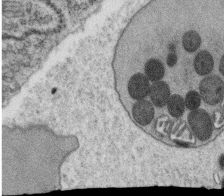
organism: C. elegans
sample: C. elegans oocyte; sperm cells